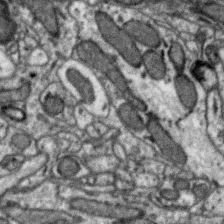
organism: Zebra finch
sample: Brain